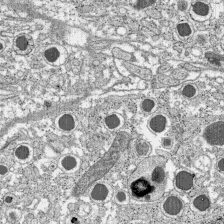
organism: C57BL Mouse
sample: Pancreatic islet